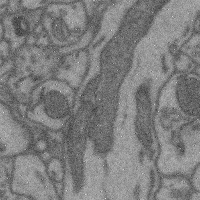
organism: Mouse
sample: Cerebral cortex